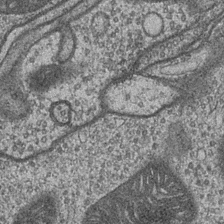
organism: Drosophila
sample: Optic medulla